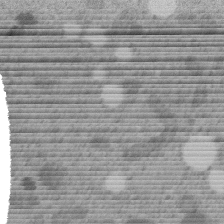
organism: C. elegans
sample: C. elegans embryo early stage